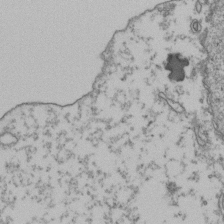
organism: Human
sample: Activated Jurkat CD4+ T cells